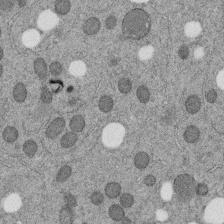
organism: C. elegans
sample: C. elegans embryo early stage